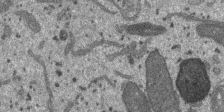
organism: Human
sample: Lung epithelial cells infected with SARS-CoV-2